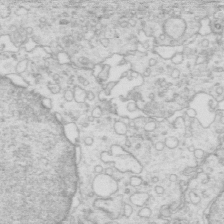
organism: Mouse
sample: Multiciliated cells